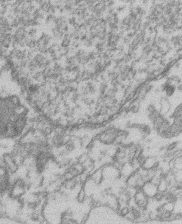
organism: Mouse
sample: T cell stromal cell synapse